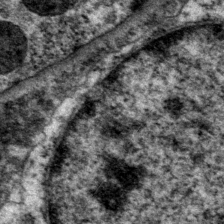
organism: P. pacificus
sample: Pharynx